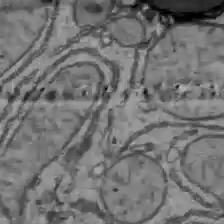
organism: C57BL Mouse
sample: Liver